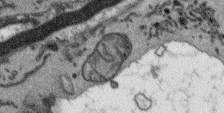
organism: Arabidopsis thaliana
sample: Root tip